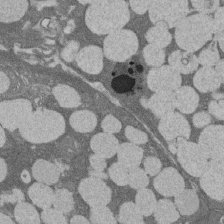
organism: Rat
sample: Salivary granule